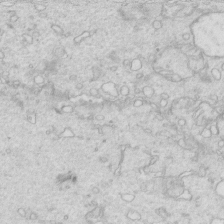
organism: Mouse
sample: Multiciliated cells